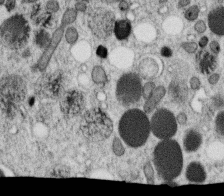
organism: C. elegans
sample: C. elegans oocyte; sperm cells